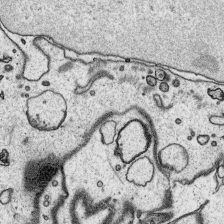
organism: Platynereis dumerilii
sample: Parapodia